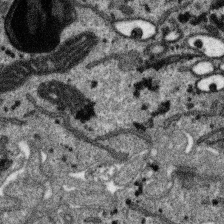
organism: Human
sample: Lung epithelial cells infected with SARS-CoV-2